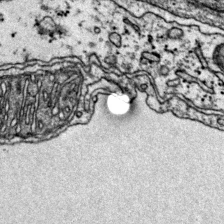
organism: Mouse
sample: Primary visual cortex